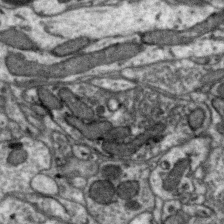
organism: Zebra finch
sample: Brain